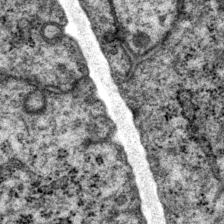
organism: P. pacificus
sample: Pharynx